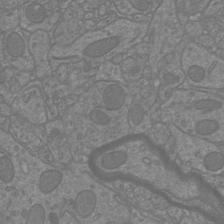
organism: Mouse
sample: Cortical neurons